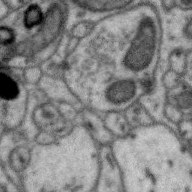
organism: Zebra finch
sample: Brain